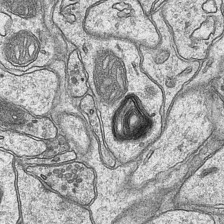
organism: Mouse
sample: CA1 Hippocampus